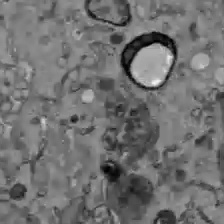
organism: C57BL Mouse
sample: Liver